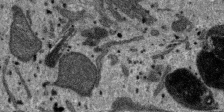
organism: Human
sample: Lung epithelial cells, uninfected (mock) control